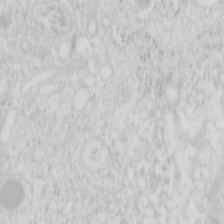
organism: Mouse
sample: Pancreas